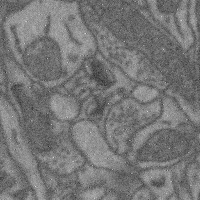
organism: Mouse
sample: Cerebral cortex